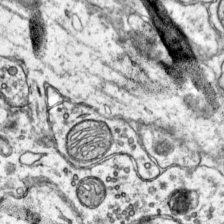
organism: Mouse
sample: Primary visual cortex